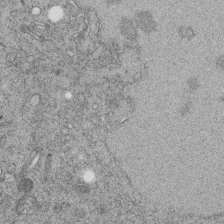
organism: C. elegans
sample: C. elegans embryo early stage